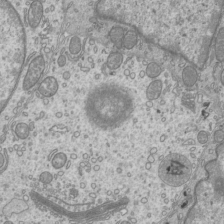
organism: Mouse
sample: Cilia; mouse epididymis